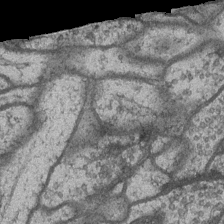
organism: Drosophila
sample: Optic medulla